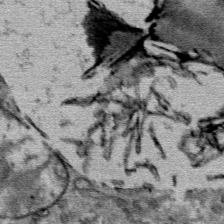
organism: Mouse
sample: Mouse Salivary gland